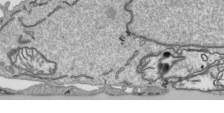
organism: Human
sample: Mitochondria in HCT116 cells